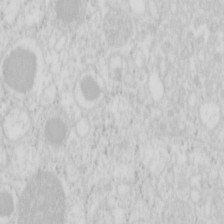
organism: Mouse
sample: Pancreas